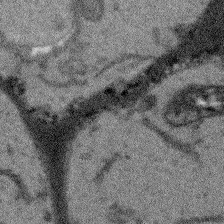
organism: Arabidopsis thaliana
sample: Root tip